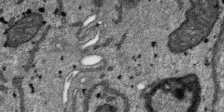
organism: Human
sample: Lung epithelial cells, uninfected (mock) control